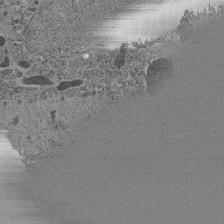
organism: C. elegans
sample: C. elegans pharynx